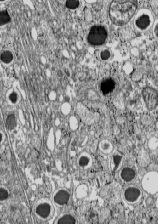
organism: C57BL Mouse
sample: Pancreatic islet